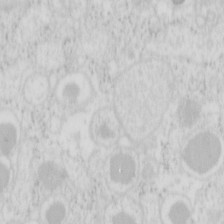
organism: Mouse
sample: Pancreas